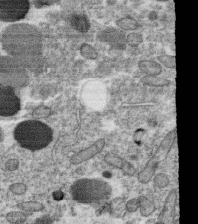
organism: C. elegans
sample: C. elegans oocyte; sperm cells